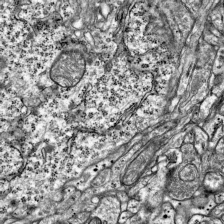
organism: Mouse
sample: Visual Cortex